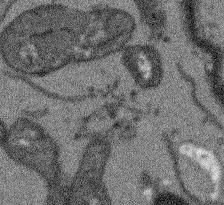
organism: Arabidopsis thaliana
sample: Root tip